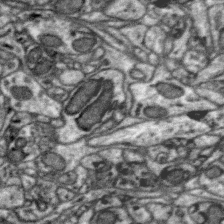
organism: Zebra finch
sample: Brain